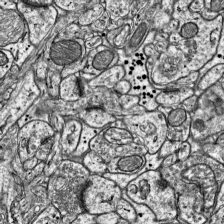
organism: Mouse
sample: Visual Cortex